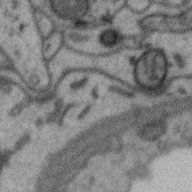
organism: Zebra finch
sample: Brain